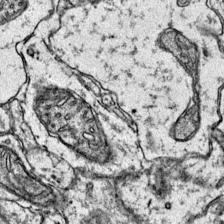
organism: Mouse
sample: Primary visual cortex